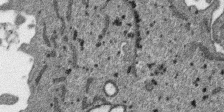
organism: Human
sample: Lung epithelial cells infected with SARS-CoV-2